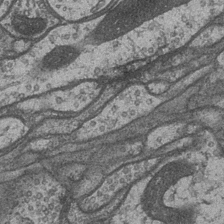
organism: Drosophila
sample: Optic medulla